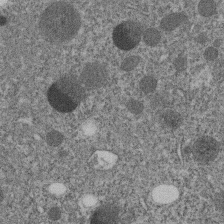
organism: C. elegans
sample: C. elegans embryo early stage